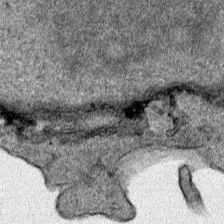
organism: Human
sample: Mitochondria in HCT116 cells